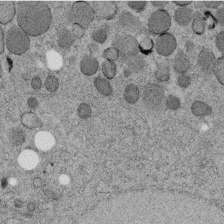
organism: C. elegans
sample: C. elegans embryo early stage